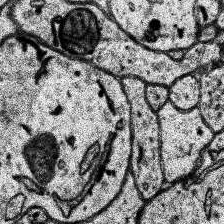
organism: Human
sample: Temporal Lobe